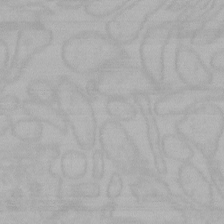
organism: Mouse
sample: Choroid plexus